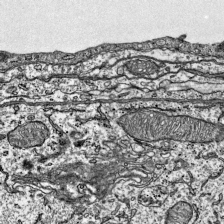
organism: Mouse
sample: Visual Cortex